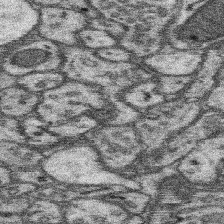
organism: Mouse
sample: Somatosensory cortex neuropil